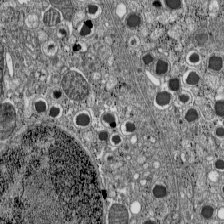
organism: C57BL Mouse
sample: Pancreatic islet